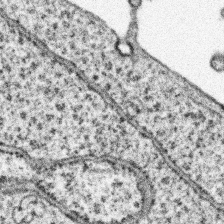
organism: Human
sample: HeLa cells